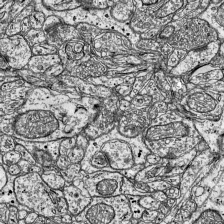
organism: Mouse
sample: Visual Cortex